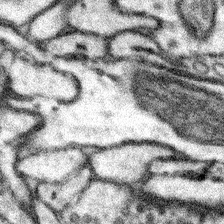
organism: Mouse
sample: Somatosensory cortex neuropil